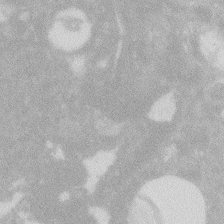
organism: Zebrafish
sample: Macrophage